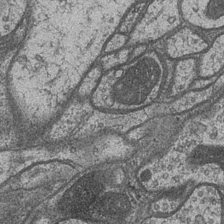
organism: Drosophila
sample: Optic medulla